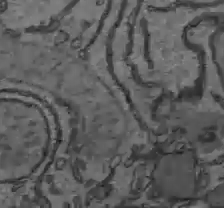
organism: C57BL Mouse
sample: Liver